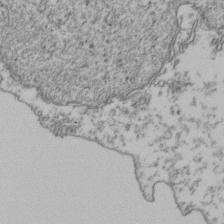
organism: Human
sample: Activated Jurkat CD4+ T cells